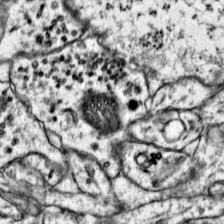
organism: Mouse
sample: Primary visual cortex